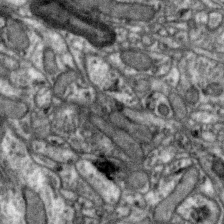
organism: Zebra finch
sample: Brain